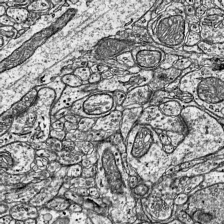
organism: Mouse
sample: Visual Cortex